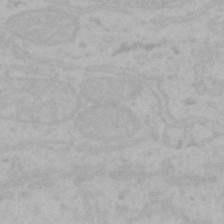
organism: Mouse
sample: Choroid plexus